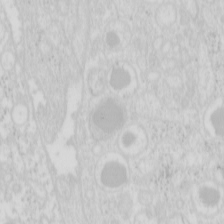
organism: Mouse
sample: Pancreas